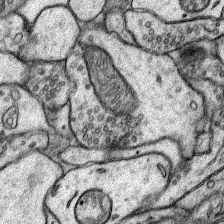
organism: Rat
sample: Hippocampus